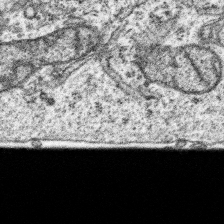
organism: Human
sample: HeLa cells